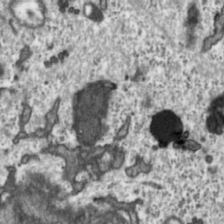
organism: Toxoplasma gondii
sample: Parasites in a vacuole inside a host cell